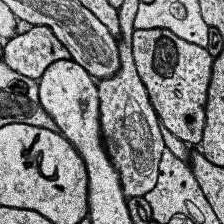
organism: Human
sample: Temporal Lobe